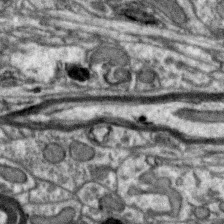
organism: Zebra finch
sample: Brain